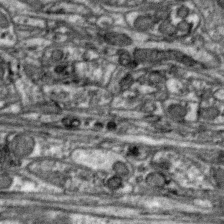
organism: Zebra finch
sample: Brain